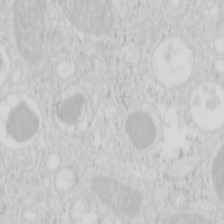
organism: Mouse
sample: Pancreas